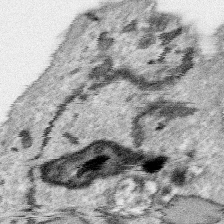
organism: Human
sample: HeLa cells